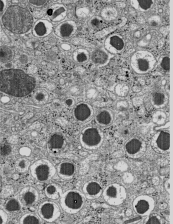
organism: C57BL Mouse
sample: Pancreatic islet